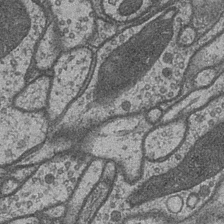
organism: Drosophila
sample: Optic medulla